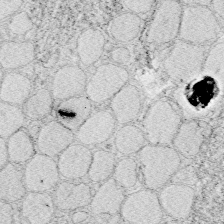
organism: Zebrafish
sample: Whole-Brain